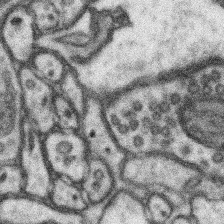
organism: Mouse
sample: Somatosensory cortex neuropil